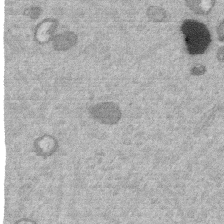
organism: Mouse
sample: Dividing mouse embryo 1 cell stage